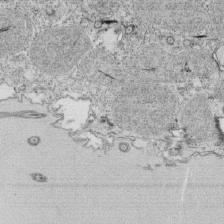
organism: Tetrahymena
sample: Cilia in tetrahymena